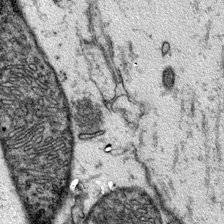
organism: Mouse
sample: Primary visual cortex